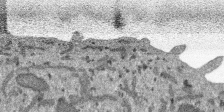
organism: Human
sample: Lung epithelial cells infected with SARS-CoV-2